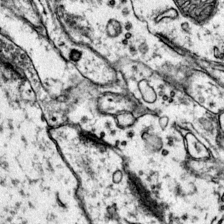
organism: Mouse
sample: Primary visual cortex